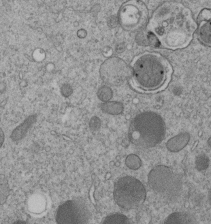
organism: C. elegans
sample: C. elegans embryo early stage